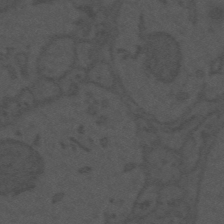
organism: Mouse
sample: Suprachiasmatic nucleus